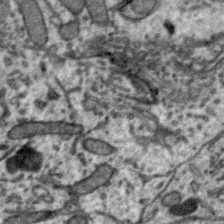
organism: Zebra finch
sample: Brain